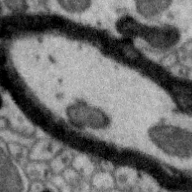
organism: Zebra finch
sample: Brain